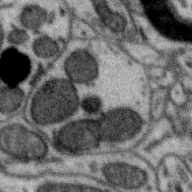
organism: Zebra finch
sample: Brain